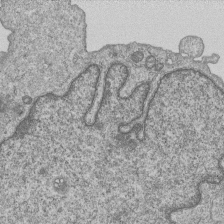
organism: Human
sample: MDA-MB-231 cells